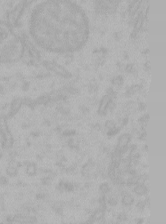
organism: Mouse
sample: Choroid plexus